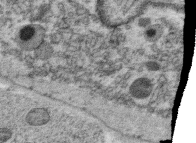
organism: C. elegans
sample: C. elegans oocyte; sperm cells